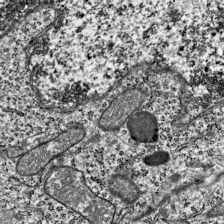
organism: Mouse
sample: Visual Cortex